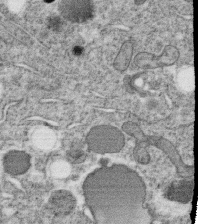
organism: C. elegans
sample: C. elegans oocyte; sperm cells